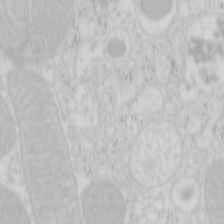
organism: Mouse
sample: Pancreas